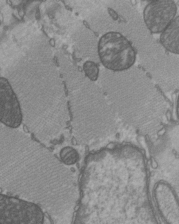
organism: C57BL Mouse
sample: Heart